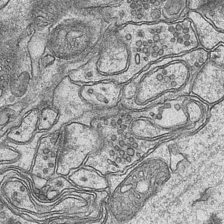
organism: Mouse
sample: CA1 Hippocampus